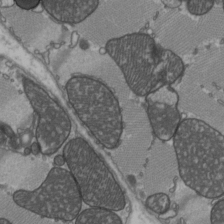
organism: C57BL Mouse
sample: Heart